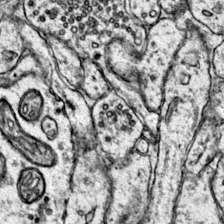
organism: Mouse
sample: Primary visual cortex